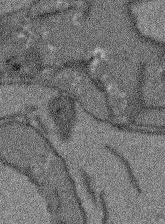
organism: Arabidopsis thaliana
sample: Root tip